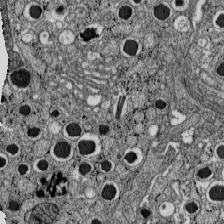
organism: C57BL Mouse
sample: Pancreatic islet